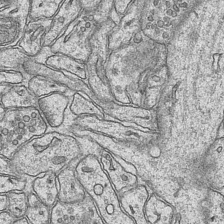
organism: Mouse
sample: CA1 Hippocampus